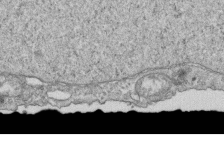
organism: Human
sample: HeLa cell HIV synapse